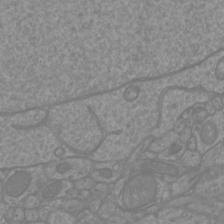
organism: Mouse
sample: Cortical neurons